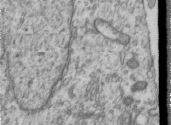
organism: Human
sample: Centriole in RPE cells